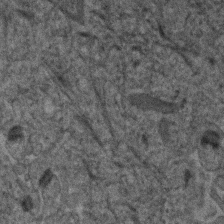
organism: Human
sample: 1205lu cells